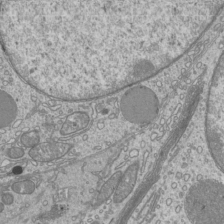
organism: Mouse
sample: Cilia; mouse epididymis